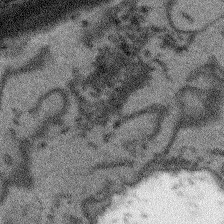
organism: Arabidopsis thaliana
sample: Root tip